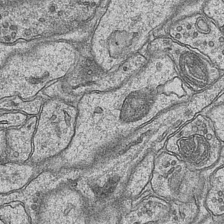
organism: Mouse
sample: CA1 Hippocampus